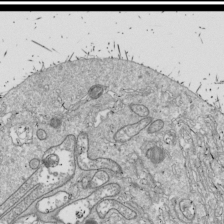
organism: Drosophila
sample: Cell division; meiosis; drosophila spermatocytes